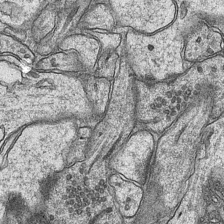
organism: Mouse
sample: CA1 Hippocampus